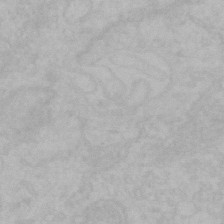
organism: Mouse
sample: Choroid plexus